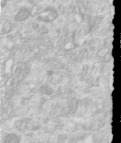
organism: Human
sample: Centriole in RPE cells